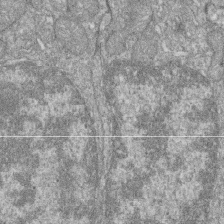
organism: Zebrafish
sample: Cilia; retinal pigment epithelium